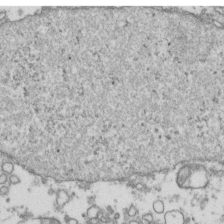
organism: Human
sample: Activated Jurkat CD4+ T cells